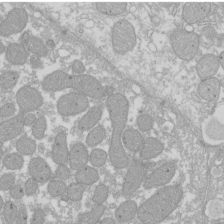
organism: Xenopus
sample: Cilia; centrioles in frog embryo cells